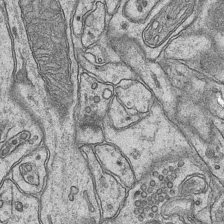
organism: Mouse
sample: CA1 Hippocampus